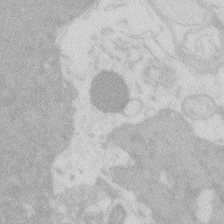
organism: Zebrafish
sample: Macrophage